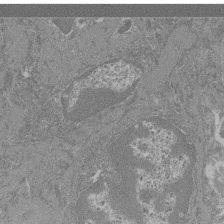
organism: Mouse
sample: Glomerulus